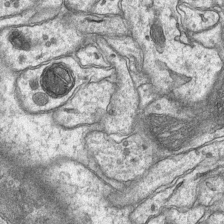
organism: Mouse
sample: CA1 Hippocampus